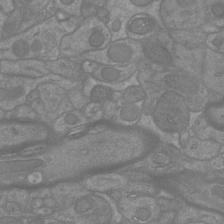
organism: Mouse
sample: Cortical neurons